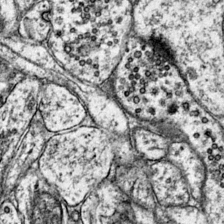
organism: Mouse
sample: Primary visual cortex